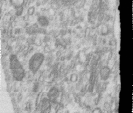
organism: Human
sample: Centriole in RPE cells